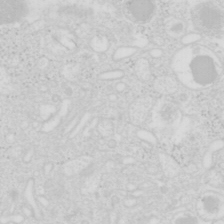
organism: Mouse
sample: Pancreas